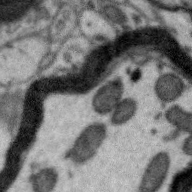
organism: Zebra finch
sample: Brain